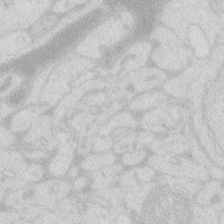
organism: Zebrafish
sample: Macrophage